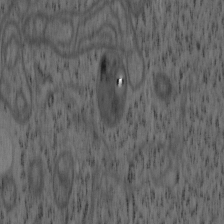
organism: Human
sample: HeLa cells